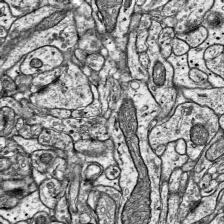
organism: Mouse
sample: Visual Cortex